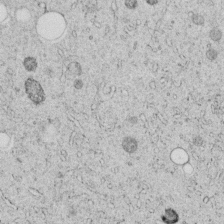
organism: C. elegans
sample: C. elegans embryo early stage